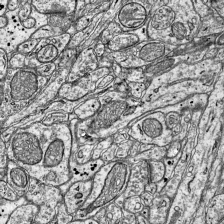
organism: Mouse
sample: Visual Cortex